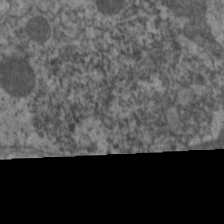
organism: C. elegans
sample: Pharynx